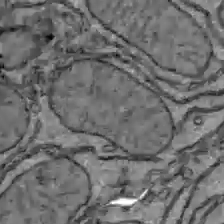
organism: C57BL Mouse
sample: Liver